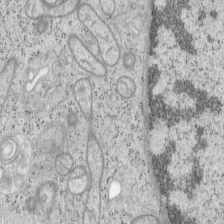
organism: Mouse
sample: OT-I killer T cells with ID8 ovarian cancer cells